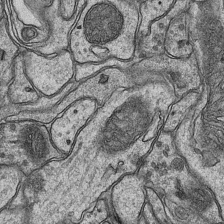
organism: Mouse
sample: CA1 Hippocampus